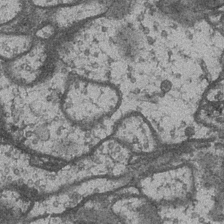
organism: Drosophila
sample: Optic medulla